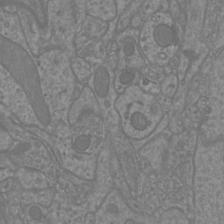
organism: Mouse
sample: Cortical neurons